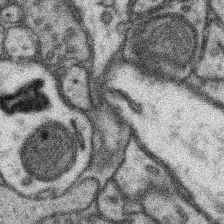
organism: Mouse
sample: Somatosensory cortex neuropil